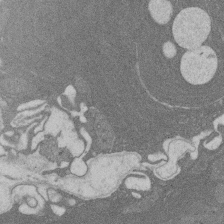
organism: Rat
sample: Salivary granule